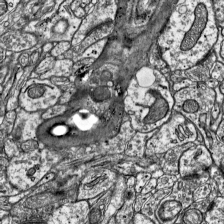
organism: Mouse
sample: Visual Cortex